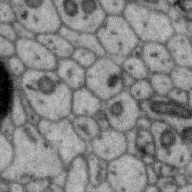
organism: Zebra finch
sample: Brain